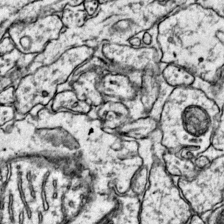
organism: Mouse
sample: Primary visual cortex